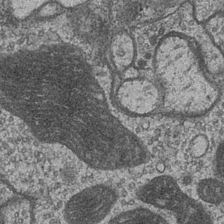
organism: Drosophila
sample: Optic medulla